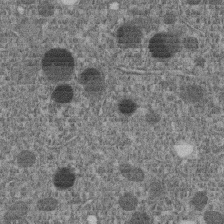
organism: C. elegans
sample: C. elegans embryo early stage